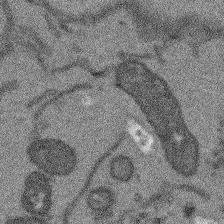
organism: Arabidopsis thaliana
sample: Root tip